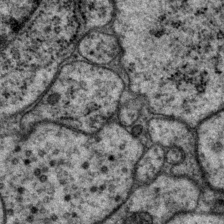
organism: P. pacificus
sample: Pharynx